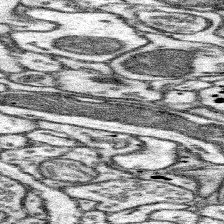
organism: Mouse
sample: Somatosensory cortex neuropil